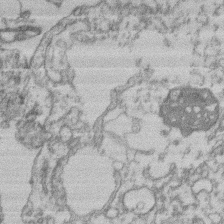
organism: Mouse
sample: T cell stromal cell synapse